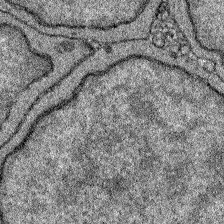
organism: Zebrafish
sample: Larval olfactory bulb